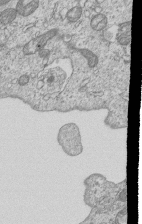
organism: Human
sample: MDA-MB-231 cells